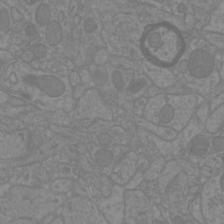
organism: Mouse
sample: Cortical neurons